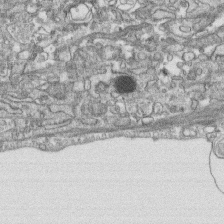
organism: Human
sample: CRL-1474